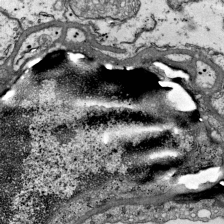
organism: Mouse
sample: Visual Cortex